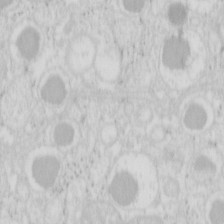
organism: Mouse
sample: Pancreas